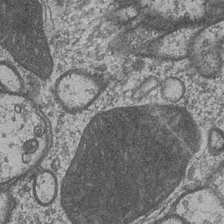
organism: Drosophila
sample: Optic medulla